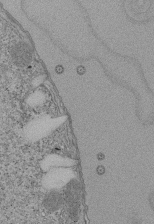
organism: Tetrahymena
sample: Cilia in tetrahymena